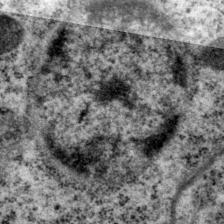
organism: P. pacificus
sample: Pharynx